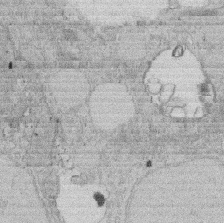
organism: Rat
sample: Salivary granule